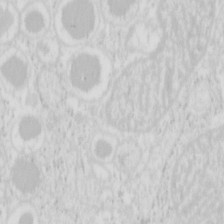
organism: Mouse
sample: Pancreas